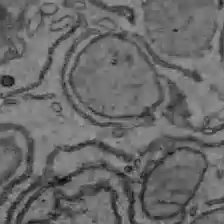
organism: C57BL Mouse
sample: Liver